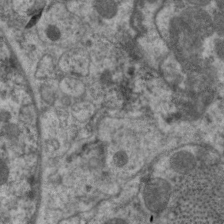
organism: C. elegans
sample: Pharynx